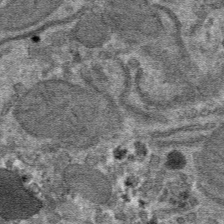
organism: Mouse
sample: Mouse hepatocytes